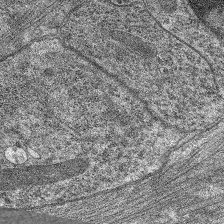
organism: C. elegans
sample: Pharynx